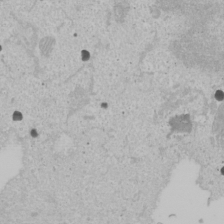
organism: Human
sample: Mitochondria in U2OS cells